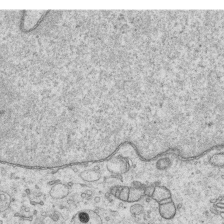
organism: Human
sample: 1205lu cells